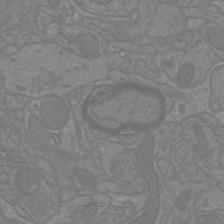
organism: Mouse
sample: Cortical neurons